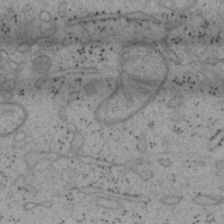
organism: Human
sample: HeLa cells